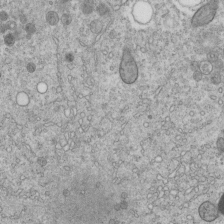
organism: C. elegans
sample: C. elegans embryo early stage